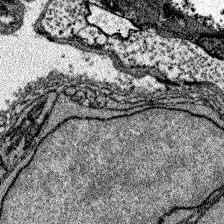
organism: Zebrafish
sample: Larval olfactory bulb